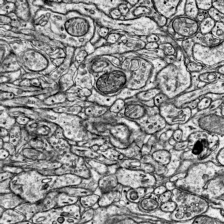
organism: Mouse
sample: Visual Cortex